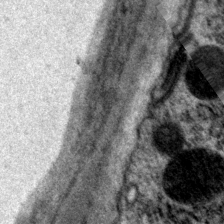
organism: P. pacificus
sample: Pharynx